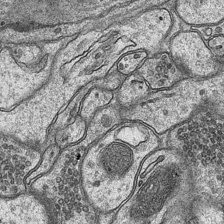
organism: Mouse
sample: CA1 Hippocampus